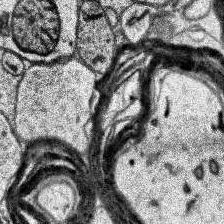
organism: Human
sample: Temporal Lobe